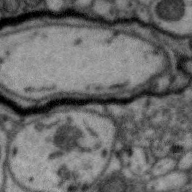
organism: Zebra finch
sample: Brain